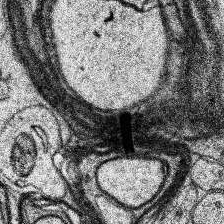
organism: Human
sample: Temporal Lobe